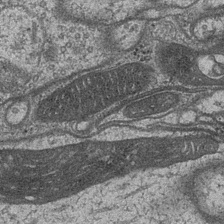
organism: Drosophila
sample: Optic medulla